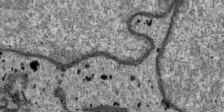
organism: Human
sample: Lung epithelial cells, uninfected (mock) control